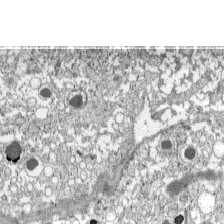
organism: C57BL Mouse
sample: Pancreatic islet